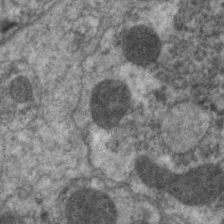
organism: C. elegans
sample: Pharynx